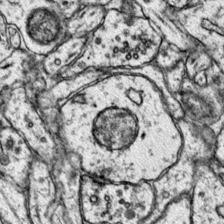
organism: Mouse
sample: Primary visual cortex